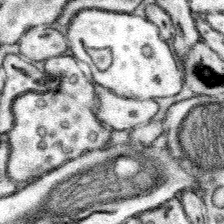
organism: Mouse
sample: Somatosensory cortex neuropil